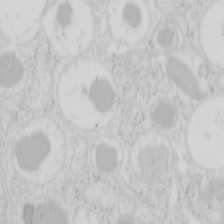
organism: Mouse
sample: Pancreas